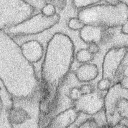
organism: Rabbit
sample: Retina